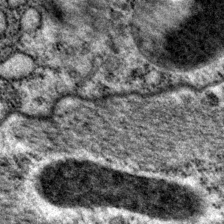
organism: P. pacificus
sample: Pharynx